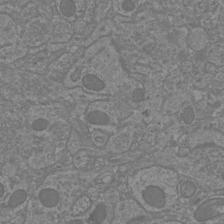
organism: Mouse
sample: Cortical neurons